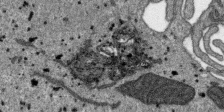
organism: Human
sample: Lung epithelial cells, uninfected (mock) control